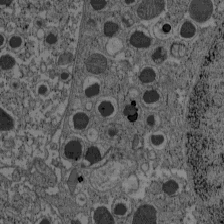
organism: C57BL Mouse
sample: Pancreatic islet